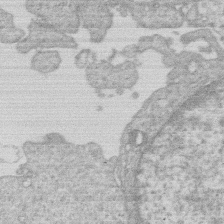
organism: Human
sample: Macrophage cells